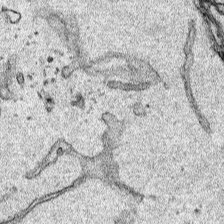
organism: Human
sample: Mitochondria in HCT116 cells